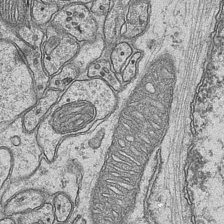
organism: Mouse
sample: CA1 Hippocampus